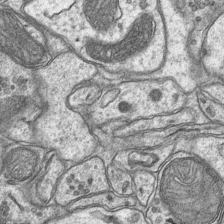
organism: Mouse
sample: CA1 Hippocampus